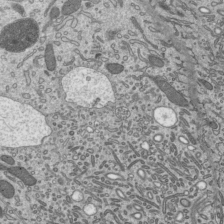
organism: Mouse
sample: Mouse epididymis efferent ductule cilia